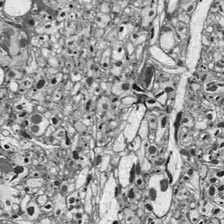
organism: Drosophila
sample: Optic lobe